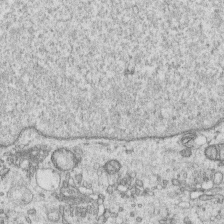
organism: Human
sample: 1205lu cells